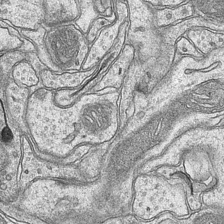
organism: Mouse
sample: CA1 Hippocampus